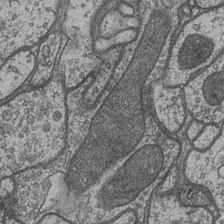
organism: Drosophila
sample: Optic medulla